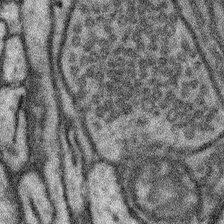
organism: Mouse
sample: Somatosensory cortex neuropil